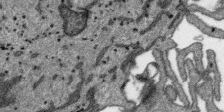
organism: Human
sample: Lung epithelial cells, uninfected (mock) control